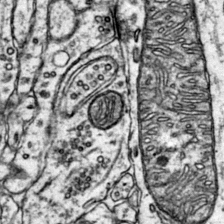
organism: Mouse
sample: Primary visual cortex